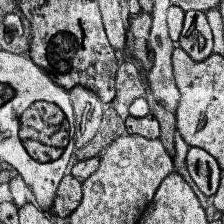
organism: Human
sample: Temporal Lobe